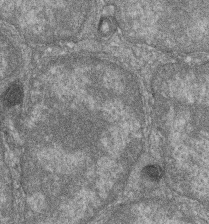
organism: Zebrafish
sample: Cilia; retinal pigment epithelium